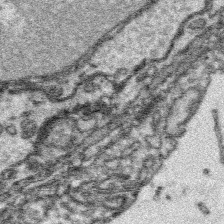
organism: Platynereis dumerilii